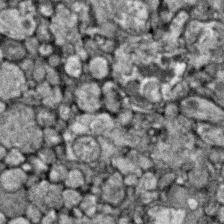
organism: Zebrafish